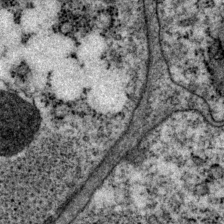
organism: P. pacificus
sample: Pharynx